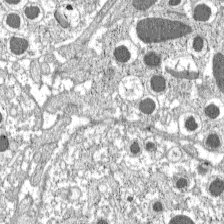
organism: C57BL Mouse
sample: Pancreatic islet